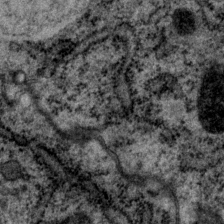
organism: P. pacificus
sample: Pharynx